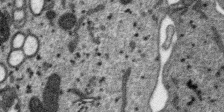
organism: Human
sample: Lung epithelial cells infected with SARS-CoV-2